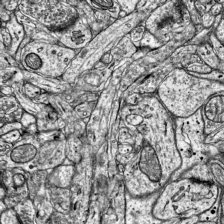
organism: Mouse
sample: Visual Cortex